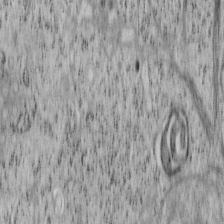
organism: Human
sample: HeLa cells